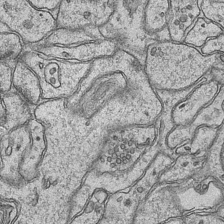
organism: Mouse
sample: CA1 Hippocampus